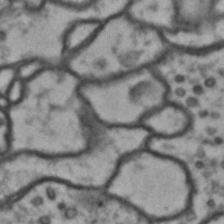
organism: Drosophila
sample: Brain